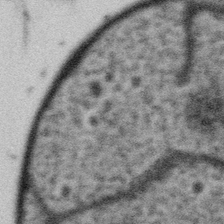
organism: Gemmata obscuriglobus